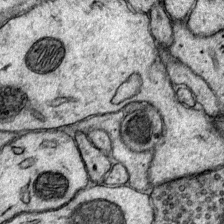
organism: Mouse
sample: Primary visual cortex